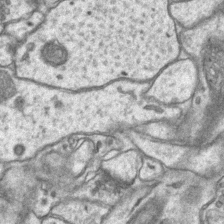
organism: Mouse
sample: CA1 Hippocampus